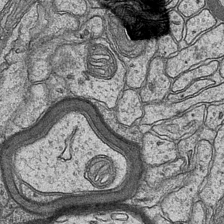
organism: Mouse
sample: CA1 Hippocampus